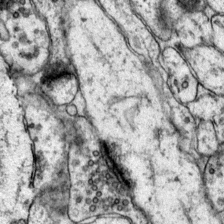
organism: Mouse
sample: Primary visual cortex